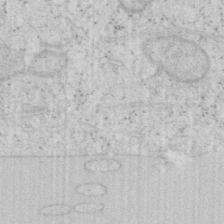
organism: Human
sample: HeLa cells